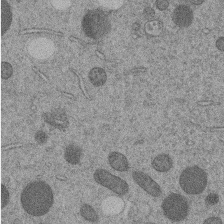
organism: C. elegans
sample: C. elegans embryo early stage